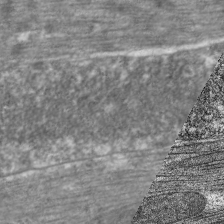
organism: C. elegans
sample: Pharynx